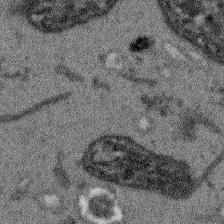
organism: Arabidopsis thaliana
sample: Root tip